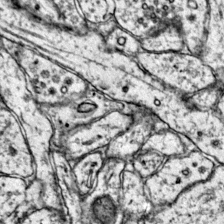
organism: Mouse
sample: Primary visual cortex